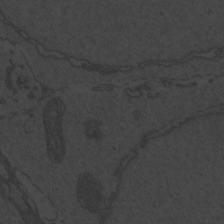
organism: Zebrafish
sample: Macrophage infected with Toxoplasma gondii